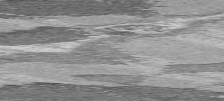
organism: C57BL Mouse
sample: Heart